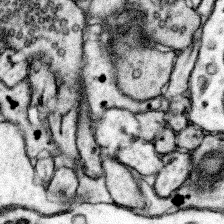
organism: Mouse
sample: Somatosensory cortex neuropil